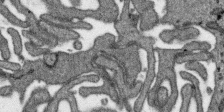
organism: Human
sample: Lung epithelial cells, uninfected (mock) control